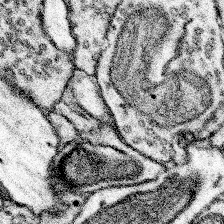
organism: Mouse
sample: Somatosensory cortex neuropil